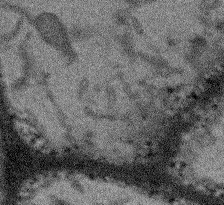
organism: Arabidopsis thaliana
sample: Root tip